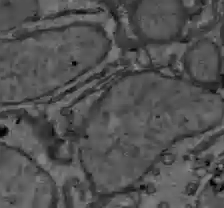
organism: C57BL Mouse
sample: Liver